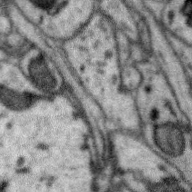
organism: Zebra finch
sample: Brain